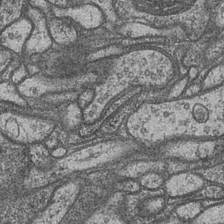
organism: Drosophila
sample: Optic medulla